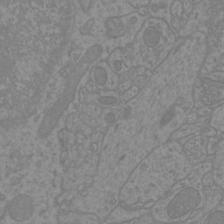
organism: Mouse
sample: Cortical neurons